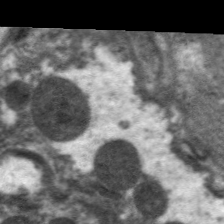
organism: C. elegans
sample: Pharynx